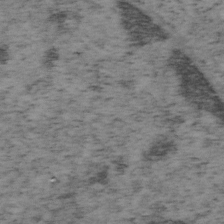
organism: Mouse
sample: OT-I killer T cells with ID8 ovarian cancer cells